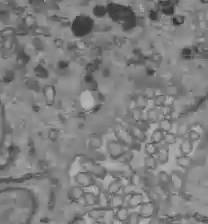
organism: C57BL Mouse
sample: Liver